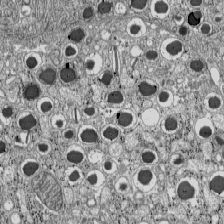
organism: C57BL Mouse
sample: Pancreatic islet